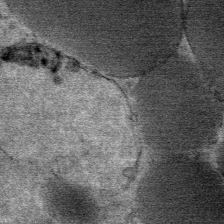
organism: Mouse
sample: Mouse Salivary gland